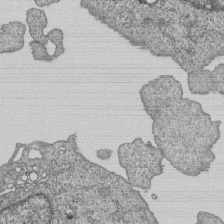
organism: Human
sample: MDA-MB-231 cells